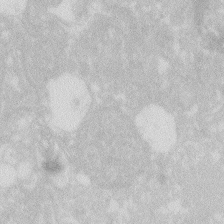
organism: Zebrafish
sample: Macrophage